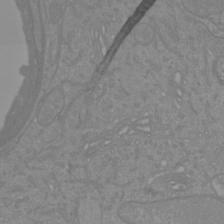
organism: Mouse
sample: Cortical neurons